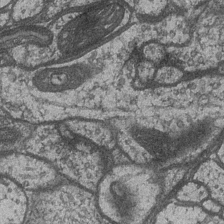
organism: Drosophila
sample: Optic medulla